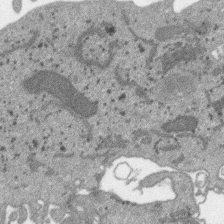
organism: Human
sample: Lung epithelial cells infected with SARS-CoV-2